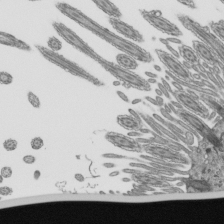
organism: Mouse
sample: Mouse epididymis efferent ductule cilia